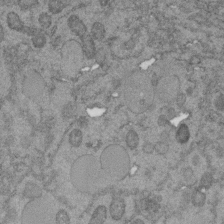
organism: C. elegans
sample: C. elegans embryo early stage